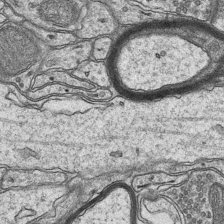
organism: Mouse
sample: CA1 Hippocampus